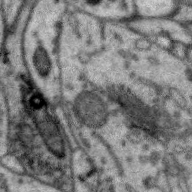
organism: Zebra finch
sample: Brain